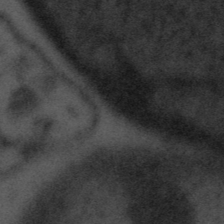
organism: Tuwongella immobilis